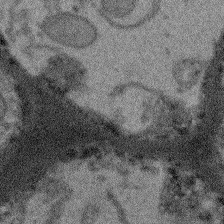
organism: Arabidopsis thaliana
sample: Root tip